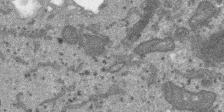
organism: Human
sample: Lung epithelial cells infected with SARS-CoV-2